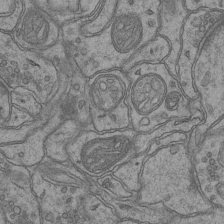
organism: Mouse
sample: CA1 Hippocampus